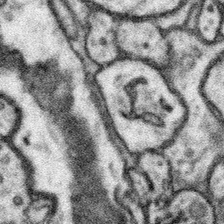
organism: Mouse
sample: Somatosensory cortex neuropil